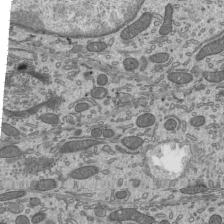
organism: Mouse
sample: Mouse epididymis efferent ductule cilia